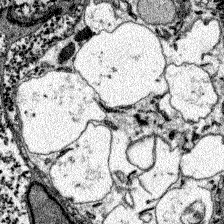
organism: Zebrafish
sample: Larval olfactory bulb